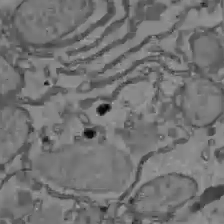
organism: C57BL Mouse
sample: Liver